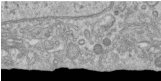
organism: Human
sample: Centriole in RPE cells